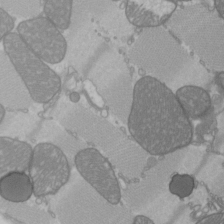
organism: C57BL Mouse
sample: Heart